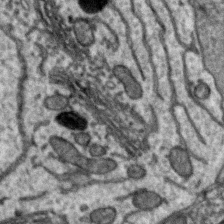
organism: Zebra finch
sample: Brain